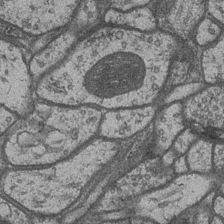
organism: Drosophila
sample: Optic medulla